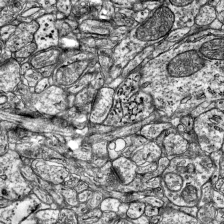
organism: Mouse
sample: Visual Cortex